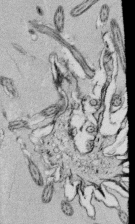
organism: Tetrahymena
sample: Cilia in tetrahymena